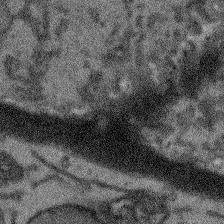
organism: Arabidopsis thaliana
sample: Root tip